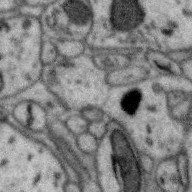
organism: Zebra finch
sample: Brain